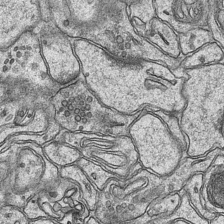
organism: Mouse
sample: CA1 Hippocampus